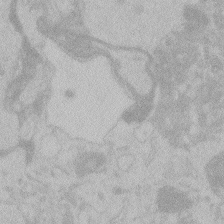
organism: Zebrafish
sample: Macrophage infected with Toxoplasma gondii